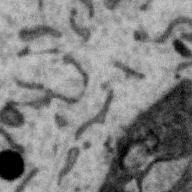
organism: Zebra finch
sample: Brain